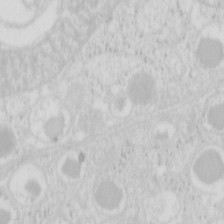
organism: Mouse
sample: Pancreas